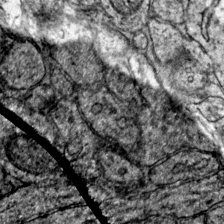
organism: Mouse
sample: Primary visual cortex